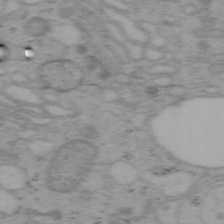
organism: Mouse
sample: OT-I killer T cells with ID8 ovarian cancer cells